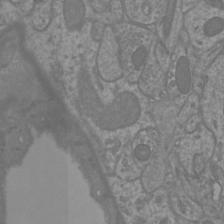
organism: Mouse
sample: Cortical neurons